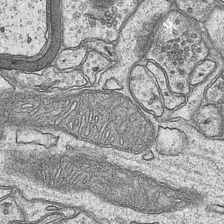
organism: Mouse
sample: CA1 Hippocampus